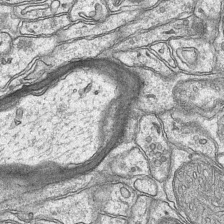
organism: Mouse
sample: CA1 Hippocampus